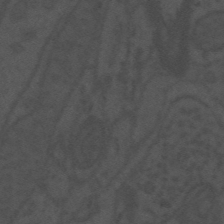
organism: Mouse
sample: Suprachiasmatic nucleus